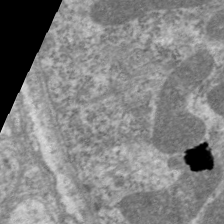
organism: C. elegans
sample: Pharynx